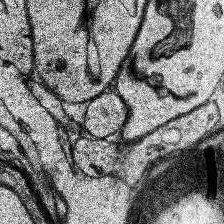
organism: Human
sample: Temporal Lobe